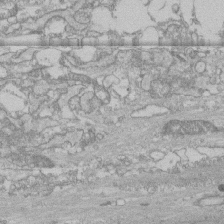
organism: Human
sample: CRL-1474